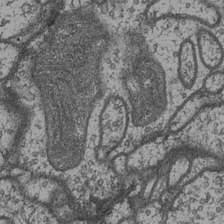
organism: Drosophila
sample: Optic medulla